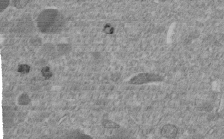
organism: C. elegans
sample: C. elegans embryo early stage